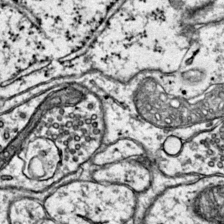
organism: Mouse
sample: Primary visual cortex